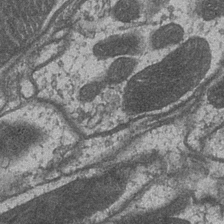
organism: Drosophila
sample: Optic medulla